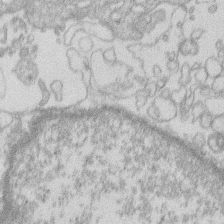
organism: Human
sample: Macrophage cells